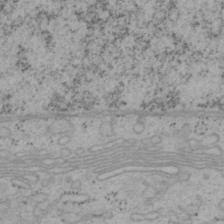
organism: Human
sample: HeLa cells